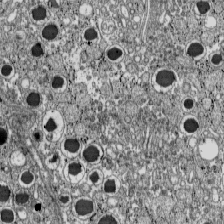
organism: C57BL Mouse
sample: Pancreatic islet